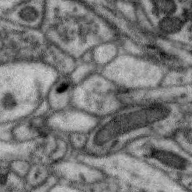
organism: Zebra finch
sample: Brain